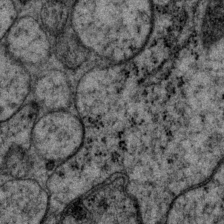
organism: P. pacificus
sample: Pharynx